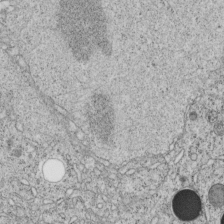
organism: C. elegans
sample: C. elegans embryo early stage